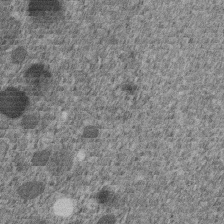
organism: C. elegans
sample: C. elegans embryo early stage